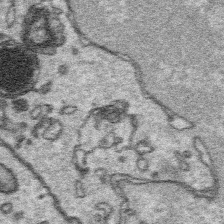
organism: Platynereis dumerilii